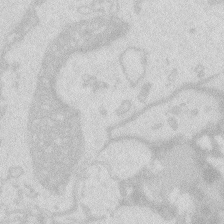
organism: Zebrafish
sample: Macrophage